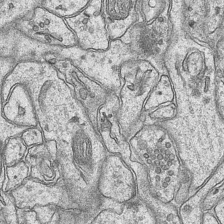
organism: Mouse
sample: CA1 Hippocampus